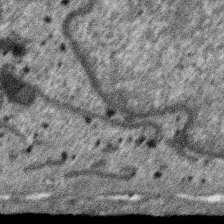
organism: Human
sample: Lung epithelial cells infected with SARS-CoV-2